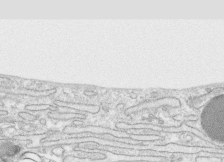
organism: Human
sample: CRL-1474